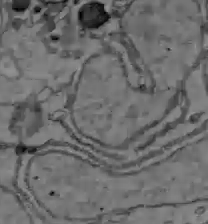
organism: C57BL Mouse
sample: Liver